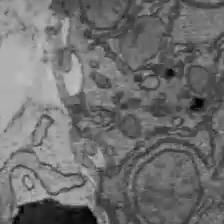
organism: C57BL Mouse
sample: Liver